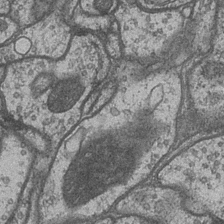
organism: Drosophila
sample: Optic medulla